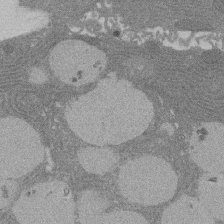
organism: Rat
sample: Salivary granule